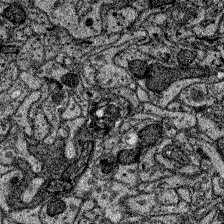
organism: Zebrafish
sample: Larval olfactory bulb